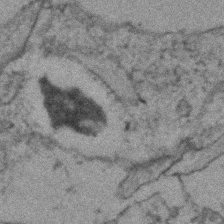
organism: Zebrafish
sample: Zebrafish embryo